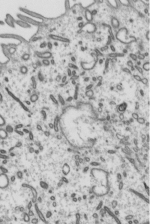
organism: Mouse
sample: Mouse epididymis efferent ductule cilia